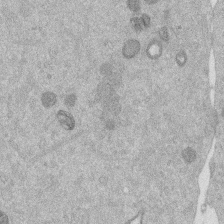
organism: Mouse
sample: Dividing mouse embryo 1 cell stage